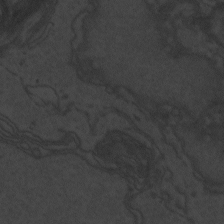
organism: Zebrafish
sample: Macrophage infected with Toxoplasma gondii